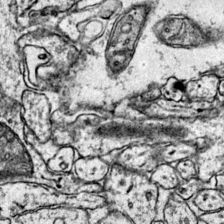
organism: Mouse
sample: Primary visual cortex